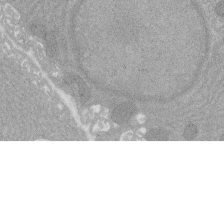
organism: Rat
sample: Salivary granule